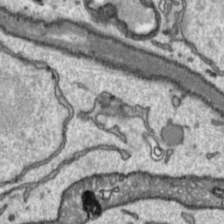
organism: Toxoplasma gondii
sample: Parasites in a vacuole inside a host cell